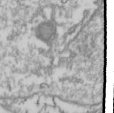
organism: Drosophila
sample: Cell division; meiosis; drosophila spermatocytes